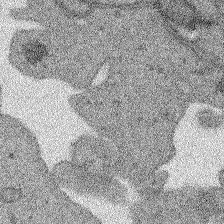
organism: Human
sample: HeLa cells